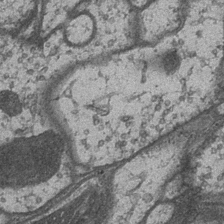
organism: Drosophila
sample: Optic medulla